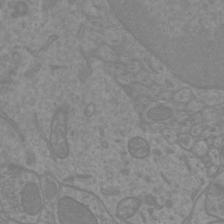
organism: Mouse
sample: Cortical neurons